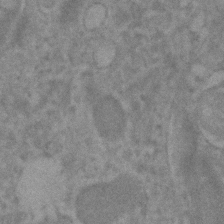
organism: Human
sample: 1205lu cells